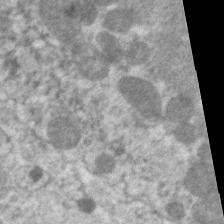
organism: C. elegans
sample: Pharynx